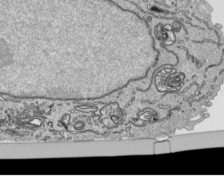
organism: Human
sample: Mitochondria in HCT116 cells